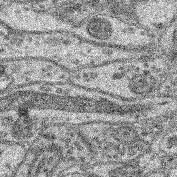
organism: Mouse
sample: Retina